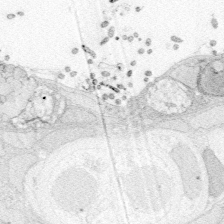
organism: Zebrafish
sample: Whole-Brain